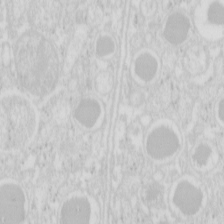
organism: Mouse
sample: Pancreas